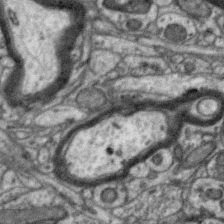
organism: Zebra finch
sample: Brain